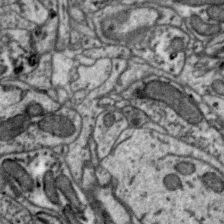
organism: Zebra finch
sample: Brain